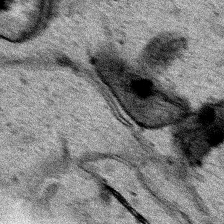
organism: Human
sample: Mitochondria in HCT116 cells